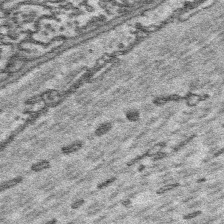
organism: Platynereis dumerilii